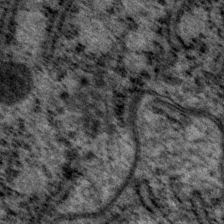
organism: P. pacificus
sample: Pharynx